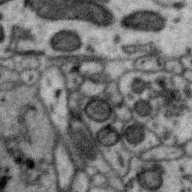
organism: Zebra finch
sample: Brain